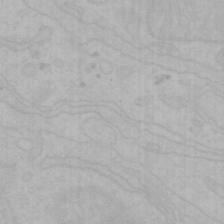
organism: Mouse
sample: Choroid plexus